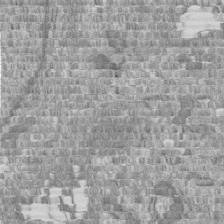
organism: Human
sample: Centriole in fibroblast cells